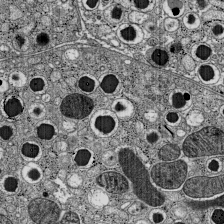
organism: C57BL Mouse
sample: Pancreatic islet